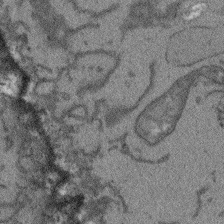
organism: Arabidopsis thaliana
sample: Root tip